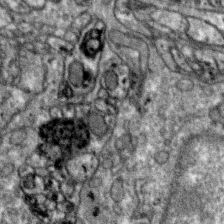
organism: Zebra finch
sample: Brain